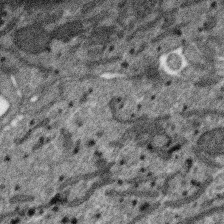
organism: Human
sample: Lung epithelial cells infected with SARS-CoV-2